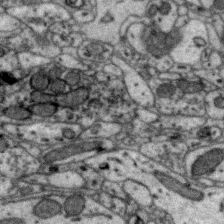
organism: Zebra finch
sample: Brain